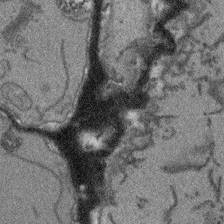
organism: Arabidopsis thaliana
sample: Root tip